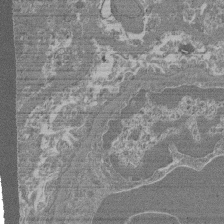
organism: Mouse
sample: Glomerulus